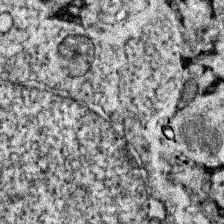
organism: Zebrafish